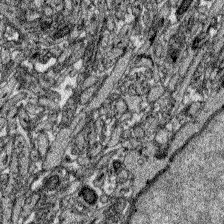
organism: Zebrafish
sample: Larval olfactory bulb